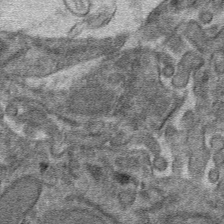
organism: Mouse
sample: Mouse hepatocytes